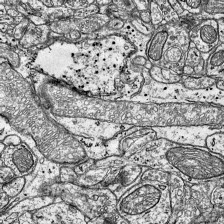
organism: Mouse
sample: Visual Cortex